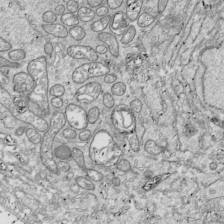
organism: Drosophila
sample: Cell division; meiosis; drosophila spermatocytes